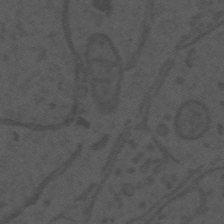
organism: Mouse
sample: Suprachiasmatic nucleus